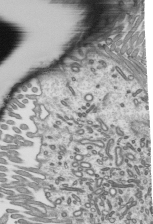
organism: Mouse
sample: Mouse epididymis efferent ductule cilia